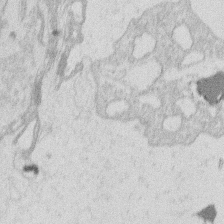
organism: Human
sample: Macrophage cells